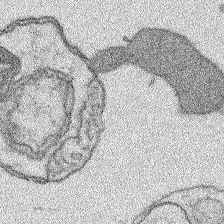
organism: Human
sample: HeLa cells